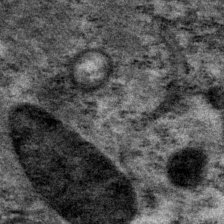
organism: P. pacificus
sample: Pharynx